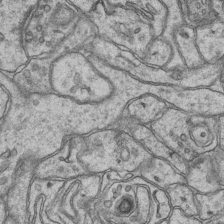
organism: Mouse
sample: CA1 Hippocampus